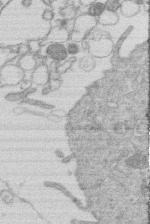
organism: Human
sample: Macrophage cells